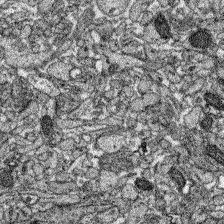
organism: Zebrafish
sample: Larval olfactory bulb